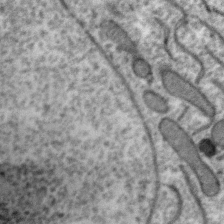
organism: Zebra finch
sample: Brain